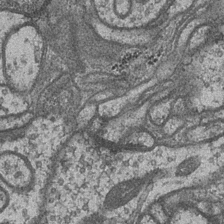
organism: Drosophila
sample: Optic medulla